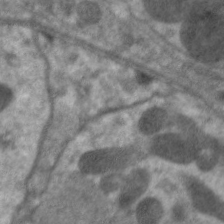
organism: C. elegans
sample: Pharynx